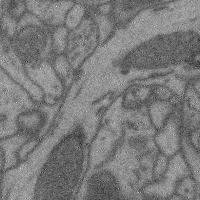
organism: Mouse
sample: Cerebral cortex